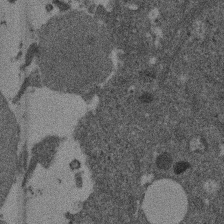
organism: Mouse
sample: Dividing mouse embryo 1 cell stage